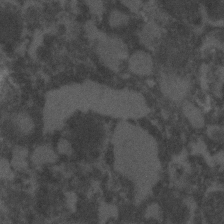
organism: C. elegans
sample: C. elegans embryo